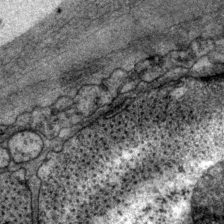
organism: P. pacificus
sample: Pharynx